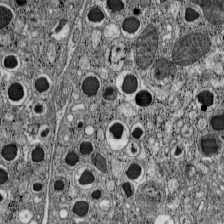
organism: C57BL Mouse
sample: Pancreatic islet